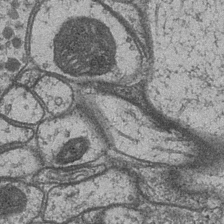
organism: Drosophila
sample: Optic medulla